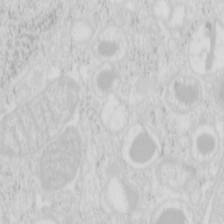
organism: Mouse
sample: Pancreas